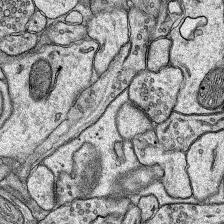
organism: Rat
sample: Hippocampus